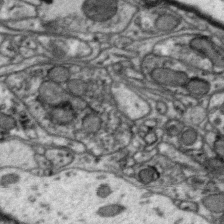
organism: Zebra finch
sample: Brain